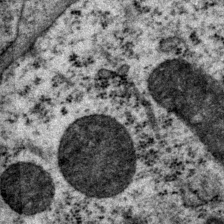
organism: P. pacificus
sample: Pharynx